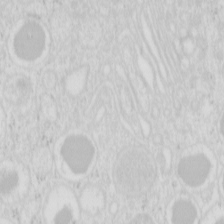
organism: Mouse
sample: Pancreas